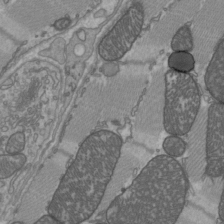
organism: C57BL Mouse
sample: Heart